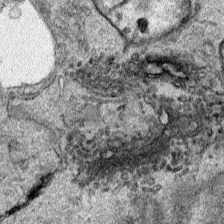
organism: Human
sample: Mitochondria in HCT116 cells